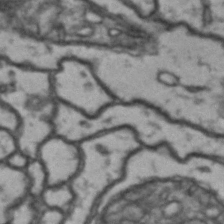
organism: Drosophila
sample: Brain